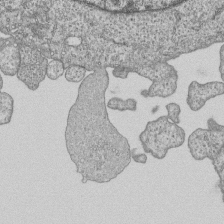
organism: Human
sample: MDA-MB-231 cells